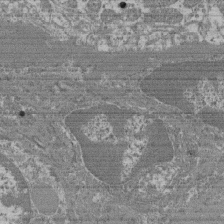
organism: Mouse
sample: Glomerulus